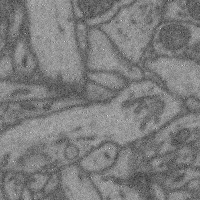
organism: Mouse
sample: Cerebral cortex